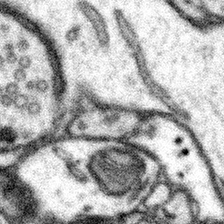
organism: Mouse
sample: Somatosensory cortex neuropil